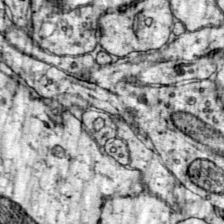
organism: Mouse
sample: Primary visual cortex